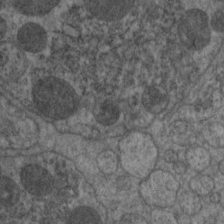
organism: C. elegans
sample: Pharynx